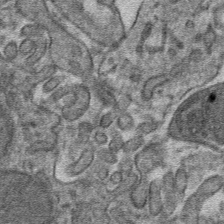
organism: Mouse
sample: Mouse hepatocytes